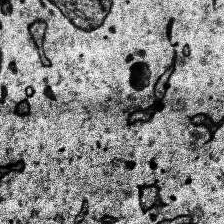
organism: Human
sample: Temporal Lobe